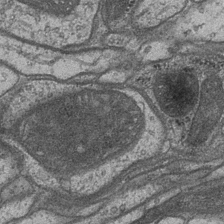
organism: Drosophila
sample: Optic medulla